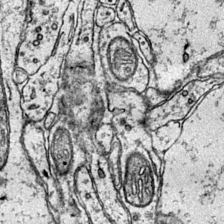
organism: Mouse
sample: Primary visual cortex